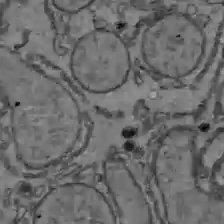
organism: C57BL Mouse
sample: Liver